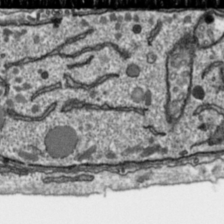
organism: Toxoplasma gondii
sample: Parasites in a vacuole inside a host cell